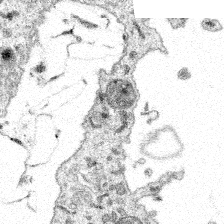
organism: Spongilla lacustris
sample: Multiple